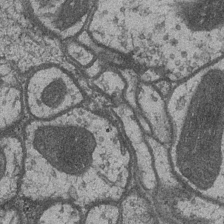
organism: Drosophila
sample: Optic medulla